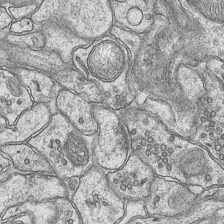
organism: Mouse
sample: CA1 Hippocampus